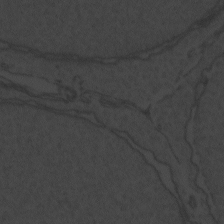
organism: Zebrafish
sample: Macrophage infected with Toxoplasma gondii